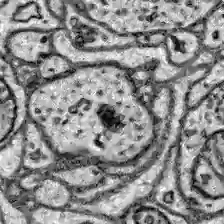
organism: Zebrafish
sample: Brain